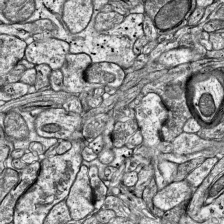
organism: Mouse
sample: Visual Cortex